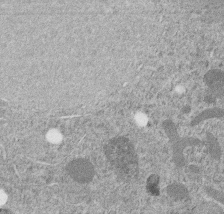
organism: C. elegans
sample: C. elegans embryo early stage